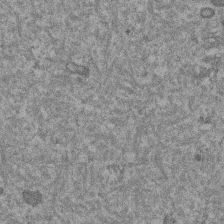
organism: Mouse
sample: Dividing mouse embryo 1 cell stage